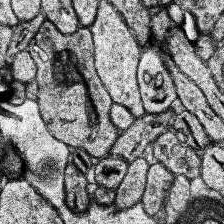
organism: Human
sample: Temporal Lobe